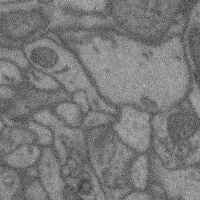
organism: Mouse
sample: Cerebral cortex